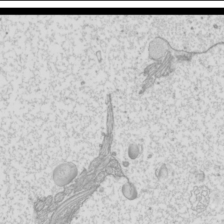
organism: Mouse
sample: Cilia; mouse epididymis